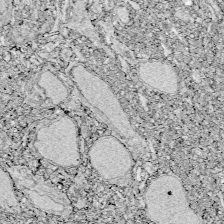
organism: Zebrafish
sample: Whole-Brain